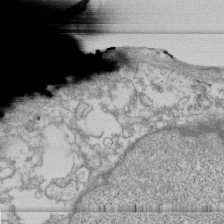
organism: Human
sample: Fibroblast cells